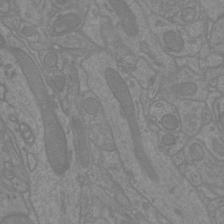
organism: Mouse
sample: Cortical neurons